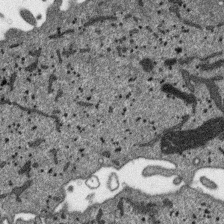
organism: Human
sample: Lung epithelial cells infected with SARS-CoV-2